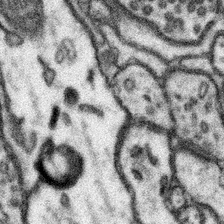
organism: Mouse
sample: Somatosensory cortex neuropil